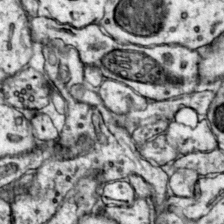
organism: Mouse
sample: Primary visual cortex